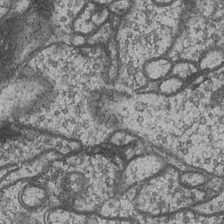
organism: Drosophila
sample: Optic medulla